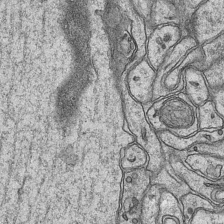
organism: Mouse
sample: CA1 Hippocampus